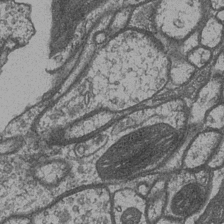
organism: Drosophila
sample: Optic medulla